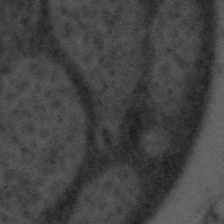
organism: Tuwongella immobilis